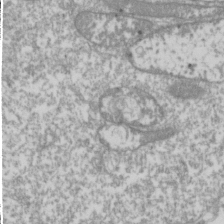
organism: Drosophila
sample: Cell division; meiosis; drosophila spermatocytes